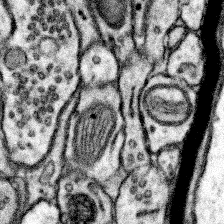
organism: Mouse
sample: Somatosensory cortex neuropil